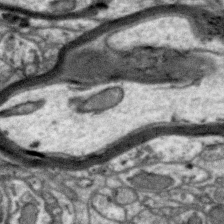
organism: Zebra finch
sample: Brain